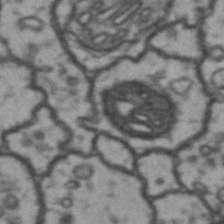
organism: Drosophila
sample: Brain